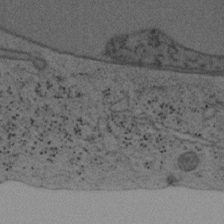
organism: Human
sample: HeLa cells